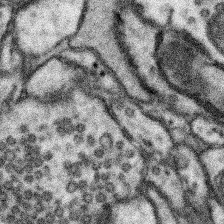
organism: Mouse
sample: Somatosensory cortex neuropil